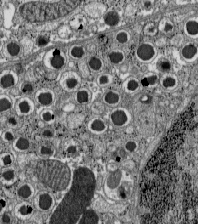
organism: C57BL Mouse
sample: Pancreatic islet